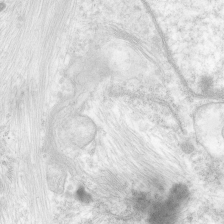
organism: Human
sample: Neocortex